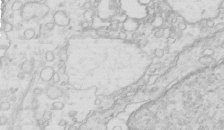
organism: Mouse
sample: Multiciliated cells